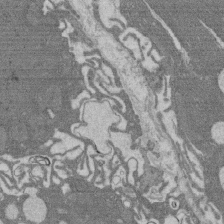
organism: Rat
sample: Salivary granule